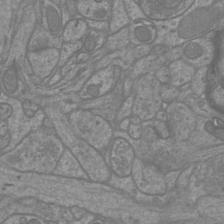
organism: Mouse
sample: Cortical neurons